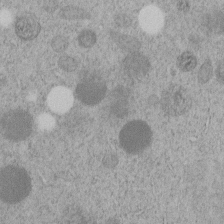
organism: C. elegans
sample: C. elegans embryo early stage